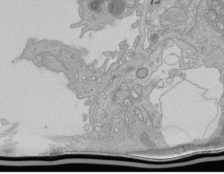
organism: Human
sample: Retinal organoid Rod and Cone cells